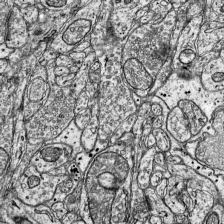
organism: Mouse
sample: Visual Cortex